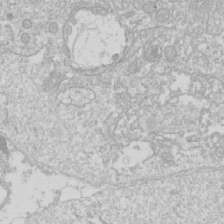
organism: Drosophila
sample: Cell division; meiosis; drosophila spermatocytes